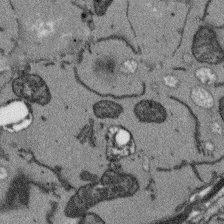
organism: Arabidopsis thaliana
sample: Root tip